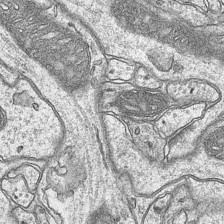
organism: Mouse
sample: CA1 Hippocampus